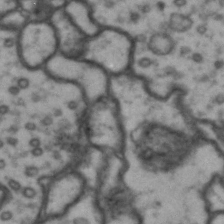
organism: Drosophila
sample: Brain